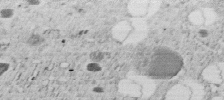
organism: C. elegans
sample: C. elegans embryo early stage